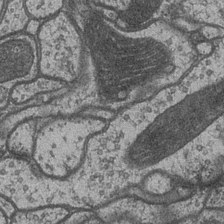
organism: Drosophila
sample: Optic medulla